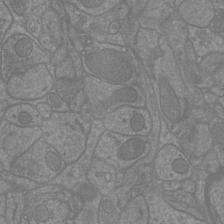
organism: Mouse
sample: Cortical neurons